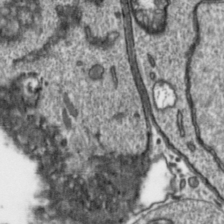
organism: Toxoplasma gondii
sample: Parasites in a vacuole inside a host cell